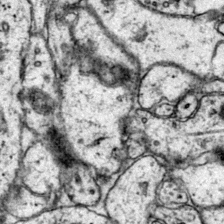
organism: Mouse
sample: Primary visual cortex